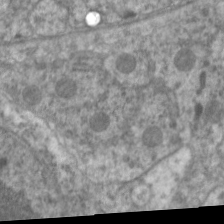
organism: C. elegans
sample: Pharynx